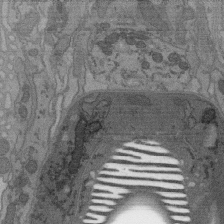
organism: C. elegans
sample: AFD neurons C. elegans